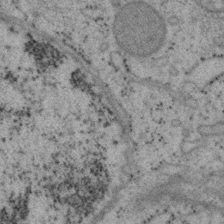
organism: Human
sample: HeLa cells